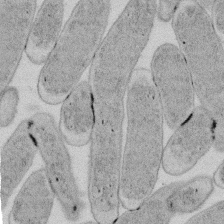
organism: E. coli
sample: Bacterial nucleoid